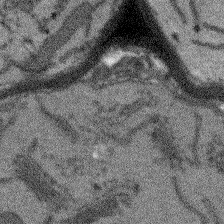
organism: Arabidopsis thaliana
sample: Root tip